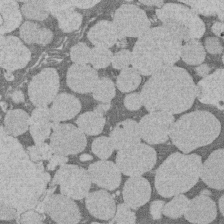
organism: Rat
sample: Salivary granule